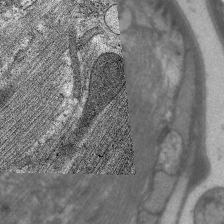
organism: C. elegans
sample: Pharynx